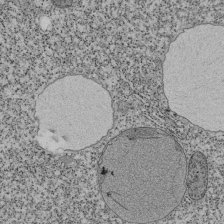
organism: Tetrahymena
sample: Cilia in tetrahymena